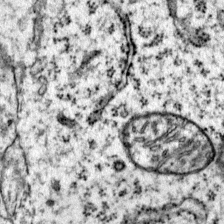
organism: Mouse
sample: Primary visual cortex